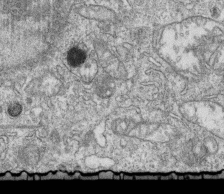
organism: Human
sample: HeLa cell HIV synapse